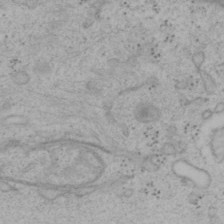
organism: Human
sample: HeLa cells